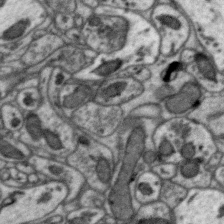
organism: Zebra finch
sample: Brain